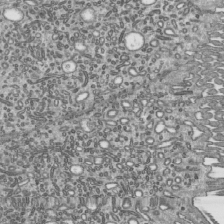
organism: Mouse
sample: Mouse epididymis efferent ductule cilia